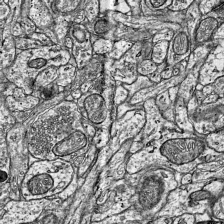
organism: Mouse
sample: Visual Cortex